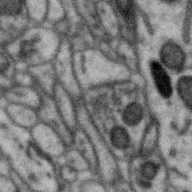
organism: Zebra finch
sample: Brain